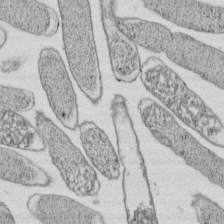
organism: E. coli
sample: Bacterial nucleoid